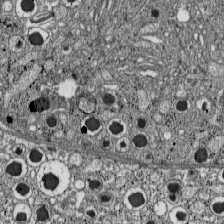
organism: C57BL Mouse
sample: Pancreatic islet